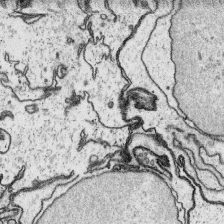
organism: Platynereis dumerilii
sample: Parapodia